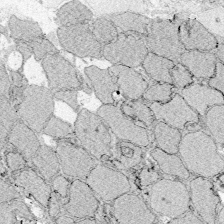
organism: Zebrafish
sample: Whole-Brain